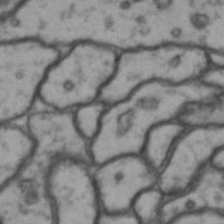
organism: Drosophila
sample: Brain